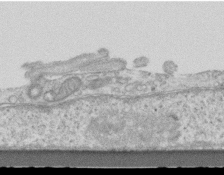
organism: Mouse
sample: Centriole in ependymal cells